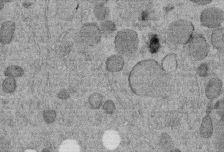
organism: C. elegans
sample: C. elegans embryo early stage